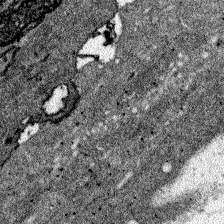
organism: Zebrafish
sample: Larval olfactory bulb